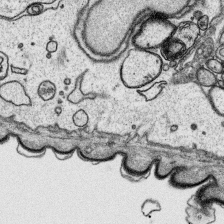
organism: Platynereis dumerilii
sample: Parapodia